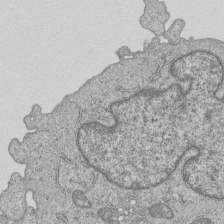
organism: Human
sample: MDA-MB-231 cells